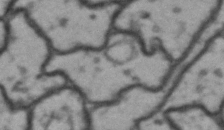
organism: Drosophila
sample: Brain